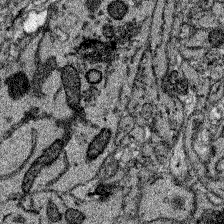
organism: Zebrafish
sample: Larval olfactory bulb